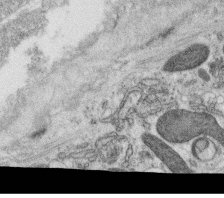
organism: C. elegans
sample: C. elegans oocyte; sperm cells